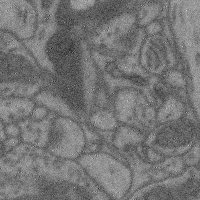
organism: Mouse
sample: Cerebral cortex